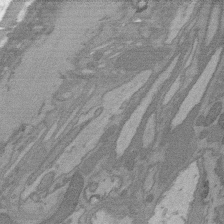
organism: C. elegans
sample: AFD neurons C. elegans